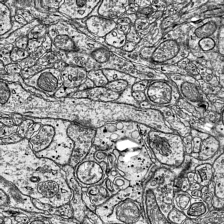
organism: Mouse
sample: Visual Cortex